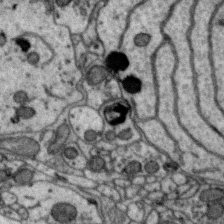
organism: Zebra finch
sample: Brain